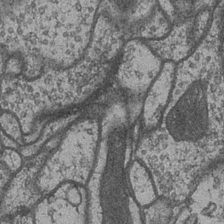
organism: Drosophila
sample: Optic medulla